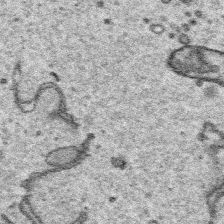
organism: Platynereis dumerilii